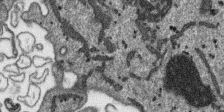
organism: Human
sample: Lung epithelial cells infected with SARS-CoV-2